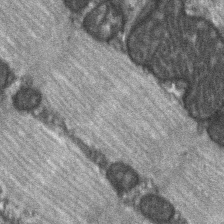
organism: C57BL Mouse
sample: Soleus